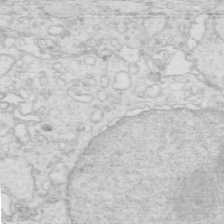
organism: Mouse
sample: Multiciliated cells